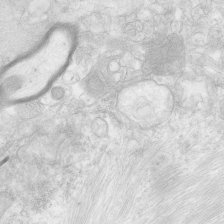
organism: Human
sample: Neocortex